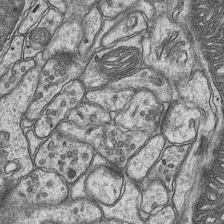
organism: Mouse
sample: CA1 Hippocampus